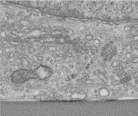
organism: Human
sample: Centriole in RPE cells